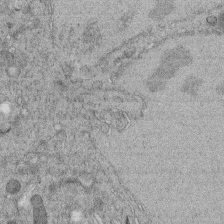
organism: C. elegans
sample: C. elegans embryo early stage